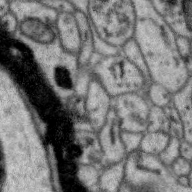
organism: Zebra finch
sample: Brain